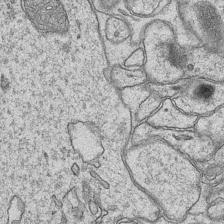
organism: Mouse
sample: CA1 Hippocampus